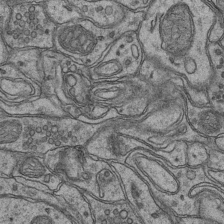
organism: Mouse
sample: CA1 Hippocampus